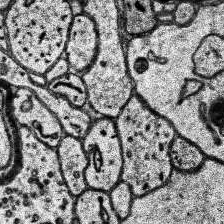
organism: Human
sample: Temporal Lobe